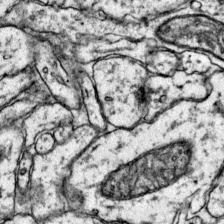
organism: Mouse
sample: Primary visual cortex